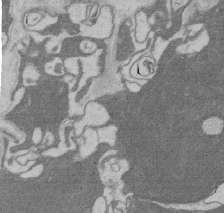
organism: Rat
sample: Salivary granule